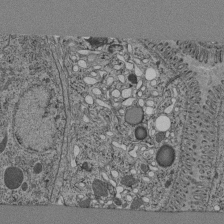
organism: C. elegans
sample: C. elegans pharynx